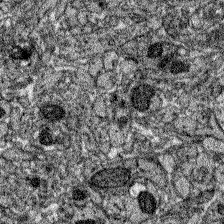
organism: Zebrafish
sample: Larval olfactory bulb